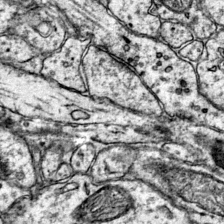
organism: Mouse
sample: Primary visual cortex